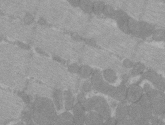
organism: C57BL Mouse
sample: Tibialis anterior muscle cell